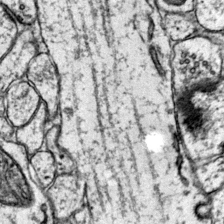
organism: Mouse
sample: Primary visual cortex